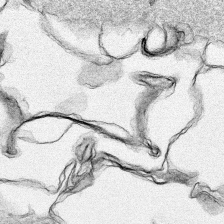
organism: Human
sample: Mitochondria in HCT116 cells